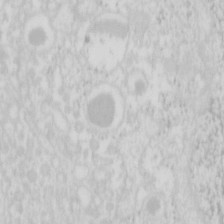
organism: Mouse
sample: Pancreas